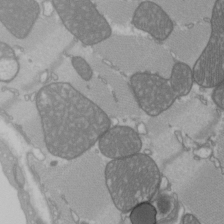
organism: C57BL Mouse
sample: Heart